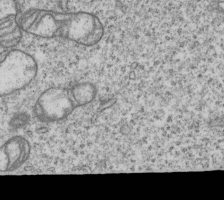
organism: Human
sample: MDA-MB-231 cells